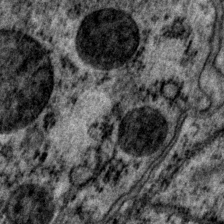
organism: P. pacificus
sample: Pharynx